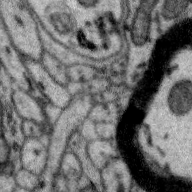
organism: Zebra finch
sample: Brain